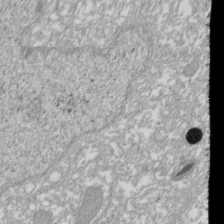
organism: Xenopus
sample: Cilia; centrioles in frog embryo cells